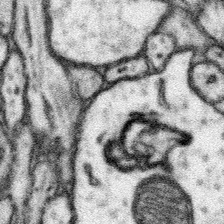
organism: Mouse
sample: Somatosensory cortex neuropil